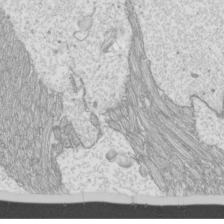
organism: Mouse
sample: Cilia; mouse epididymis